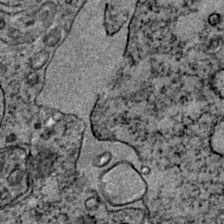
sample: Trachea